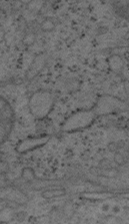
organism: Human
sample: HeLa cells